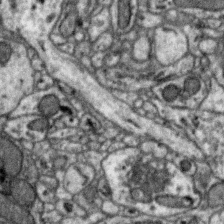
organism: Zebra finch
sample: Brain